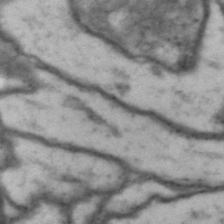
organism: Drosophila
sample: Brain